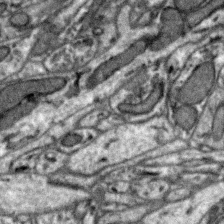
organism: Zebra finch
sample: Brain